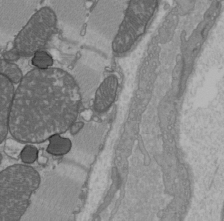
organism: C57BL Mouse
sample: Heart